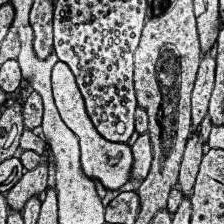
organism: Human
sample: Temporal Lobe